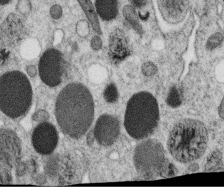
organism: C. elegans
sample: C. elegans oocyte; sperm cells